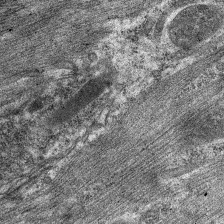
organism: C. elegans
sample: Pharynx